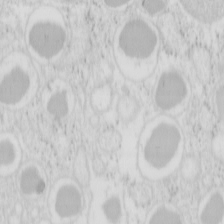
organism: Mouse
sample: Pancreas